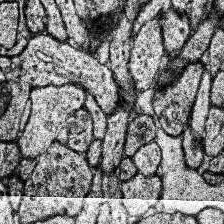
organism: Human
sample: Temporal Lobe